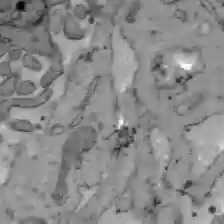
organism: C57BL Mouse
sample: Liver